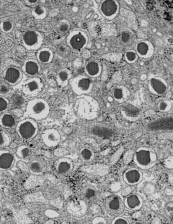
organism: C57BL Mouse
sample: Pancreatic islet